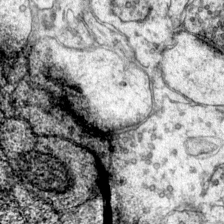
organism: Mouse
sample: Primary visual cortex